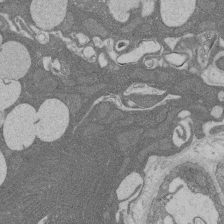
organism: Rat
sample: Salivary granule